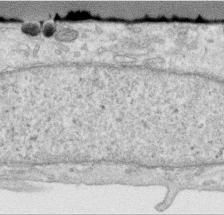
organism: Human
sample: Centriole in RPE cells